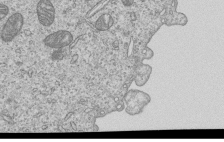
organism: Human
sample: MDA-MB-231 cells